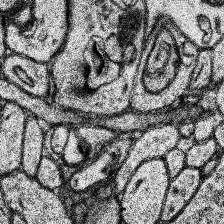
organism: Human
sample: Temporal Lobe